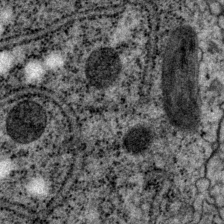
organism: P. pacificus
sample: Pharynx